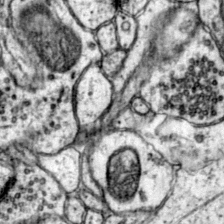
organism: Mouse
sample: Primary visual cortex